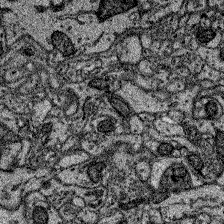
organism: Zebrafish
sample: Larval olfactory bulb